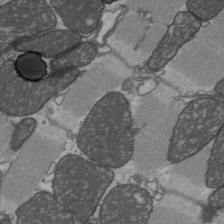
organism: C57BL Mouse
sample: Heart